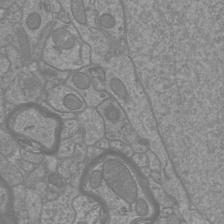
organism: Mouse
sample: Cortical neurons